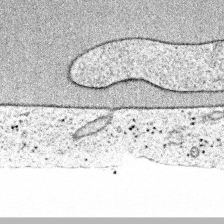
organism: Human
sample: HeLa cells